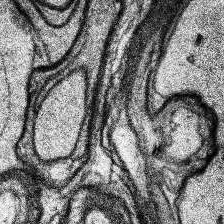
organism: Human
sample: Temporal Lobe